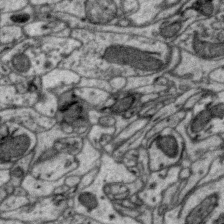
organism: Zebra finch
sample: Brain